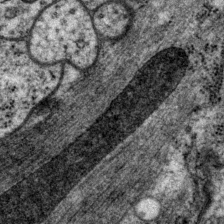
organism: P. pacificus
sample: Pharynx